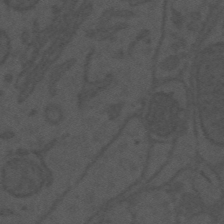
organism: Mouse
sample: Suprachiasmatic nucleus